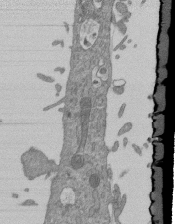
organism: Mouse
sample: ED-1 cell nuclei; centrioles